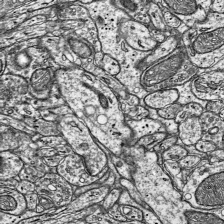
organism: Mouse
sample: Visual Cortex